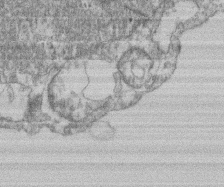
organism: Mouse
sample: T cell stromal cell synapse